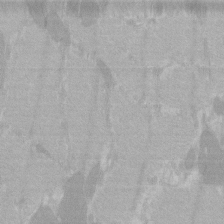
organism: C57BL Mouse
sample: Tibialis anterior muscle cell